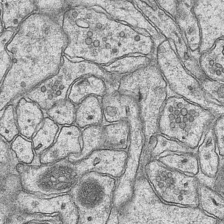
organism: Mouse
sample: CA1 Hippocampus